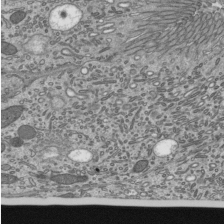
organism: Mouse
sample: Mouse epididymis efferent ductule cilia